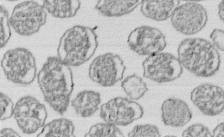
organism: E. coli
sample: Bacterial nucleoid